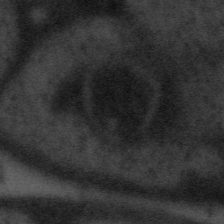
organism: Tuwongella immobilis